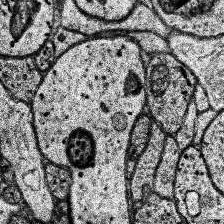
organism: Human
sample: Temporal Lobe